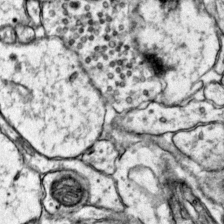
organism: Mouse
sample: Primary visual cortex